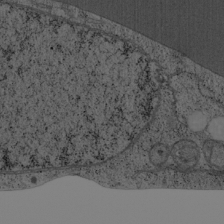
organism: African green monkey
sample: COS-7 cells